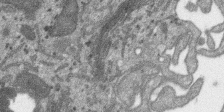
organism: Human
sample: Lung epithelial cells infected with SARS-CoV-2